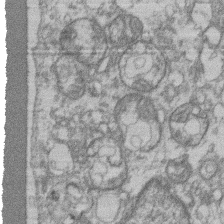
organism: Mouse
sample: T cell stromal cell synapse